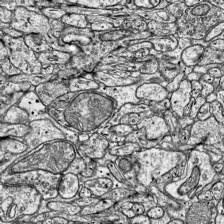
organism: Mouse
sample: Visual Cortex